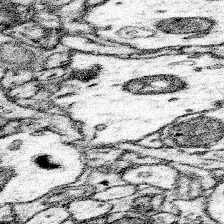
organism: Mouse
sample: Somatosensory cortex neuropil